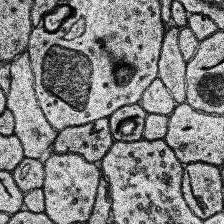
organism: Human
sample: Temporal Lobe